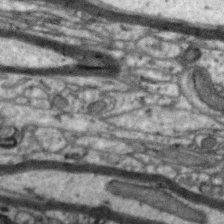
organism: Zebra finch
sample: Brain